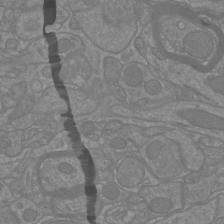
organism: Mouse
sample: Cortical neurons